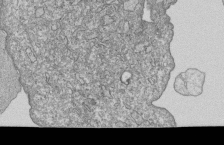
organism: Human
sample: MDA-MB-231 cells